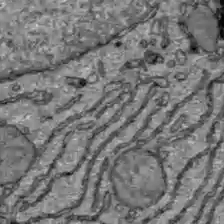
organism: C57BL Mouse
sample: Liver